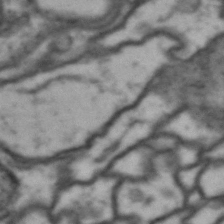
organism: Drosophila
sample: Brain